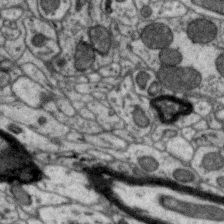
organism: Zebra finch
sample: Brain